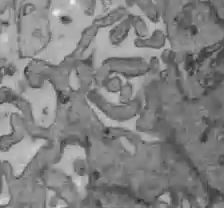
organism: C57BL Mouse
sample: Liver